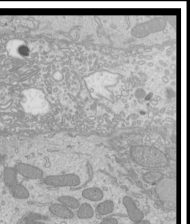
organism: Mouse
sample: Cilia; mouse epididymis